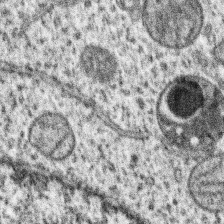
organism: Human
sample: HeLa cells